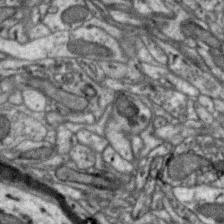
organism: Zebra finch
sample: Brain